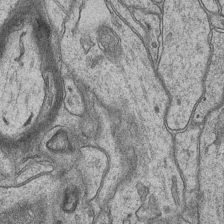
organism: Mouse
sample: CA1 Hippocampus